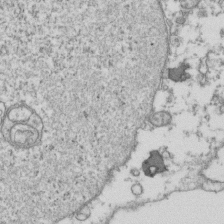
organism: Human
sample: Activated Jurkat CD4+ T cells